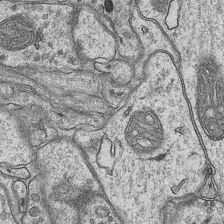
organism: Mouse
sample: CA1 Hippocampus